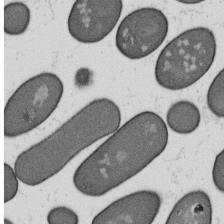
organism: B. subtilis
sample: Bacterial spore